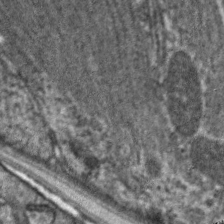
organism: C. elegans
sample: Pharynx